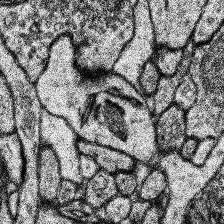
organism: Human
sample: Temporal Lobe